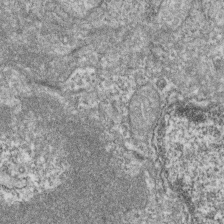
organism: Zebrafish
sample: Cilia; retinal pigment epithelium